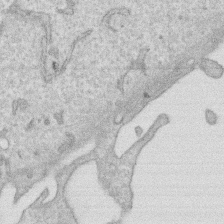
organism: Human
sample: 1205lu cells